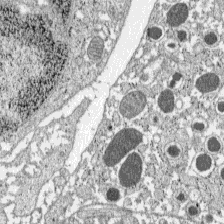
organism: C57BL Mouse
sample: Pancreatic islet